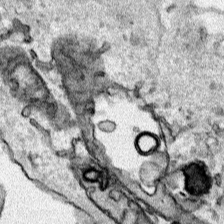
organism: Human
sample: Mitochondria in HCT116 cells